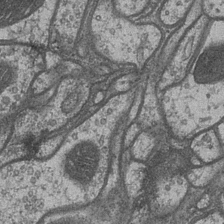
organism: Drosophila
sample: Optic medulla